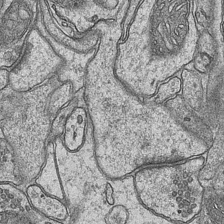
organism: Mouse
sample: CA1 Hippocampus